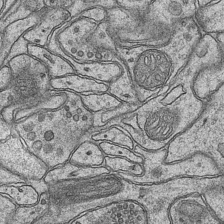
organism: Mouse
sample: CA1 Hippocampus